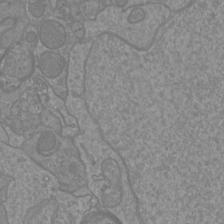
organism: Mouse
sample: Cortical neurons